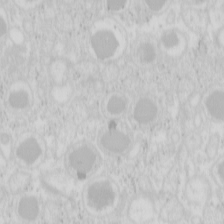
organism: Mouse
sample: Pancreas